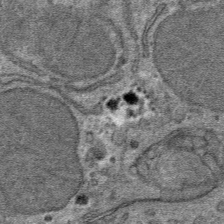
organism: Mouse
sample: Mouse hepatocytes